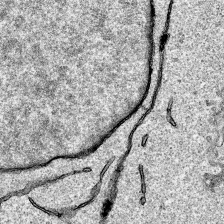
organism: Human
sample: Mitochondria in HCT116 cells